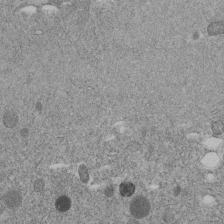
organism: C. elegans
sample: C. elegans embryo early stage